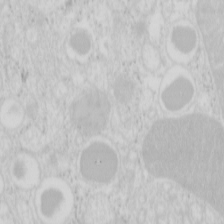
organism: Mouse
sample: Pancreas